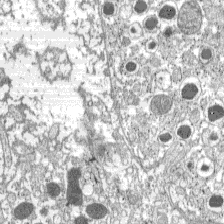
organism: C57BL Mouse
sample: Pancreatic islet